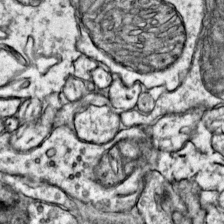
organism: Mouse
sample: Primary visual cortex